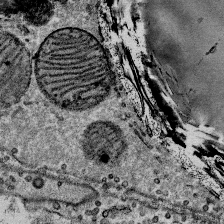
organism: Mouse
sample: Mouse Salivary gland